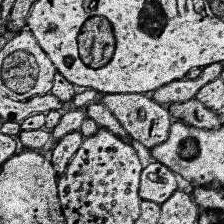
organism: Human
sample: Temporal Lobe